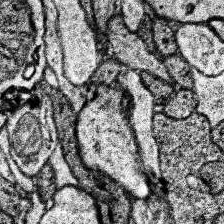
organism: Human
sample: Temporal Lobe